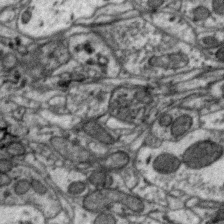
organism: Zebra finch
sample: Brain